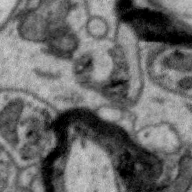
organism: Zebra finch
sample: Brain